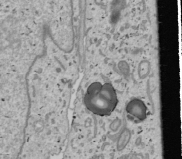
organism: Human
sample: Mitochondria in U2OS cells